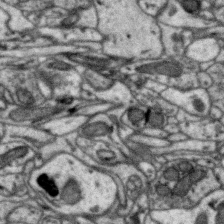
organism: Zebra finch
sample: Brain